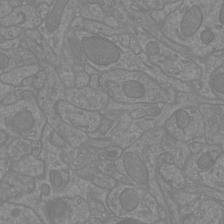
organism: Mouse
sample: Cortical neurons